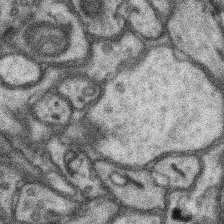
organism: Mouse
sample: Somatosensory cortex neuropil